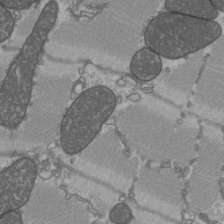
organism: C57BL Mouse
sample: Heart